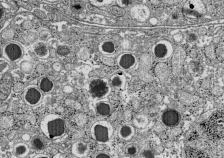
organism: C57BL Mouse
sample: Pancreatic islet